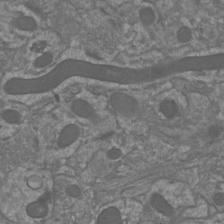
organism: Mouse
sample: Cortical neurons